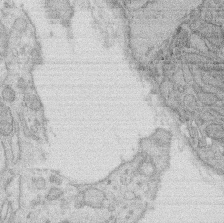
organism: Rat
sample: Salivary granule